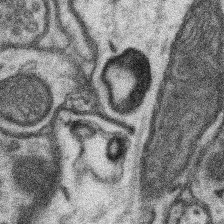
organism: Mouse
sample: Somatosensory cortex neuropil